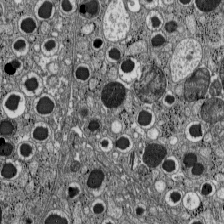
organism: C57BL Mouse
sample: Pancreatic islet